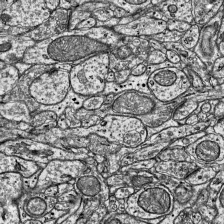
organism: Mouse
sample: Visual Cortex